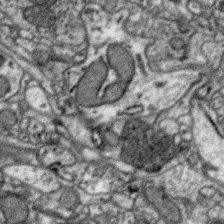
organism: Zebra finch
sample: Brain